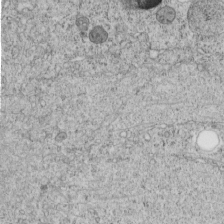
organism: C. elegans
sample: C. elegans embryo early stage